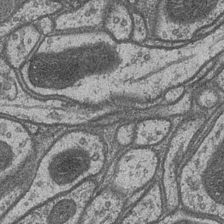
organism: Drosophila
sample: Optic medulla